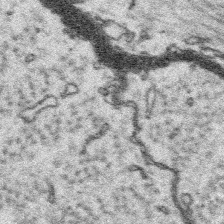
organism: Platynereis dumerilii